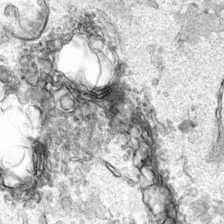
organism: Human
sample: Mitochondria in HCT116 cells